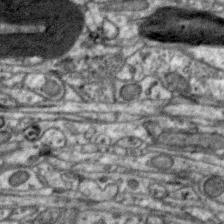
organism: Zebra finch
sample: Brain